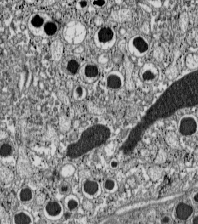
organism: C57BL Mouse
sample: Pancreatic islet